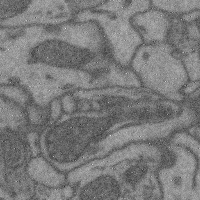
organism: Mouse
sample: Cerebral cortex